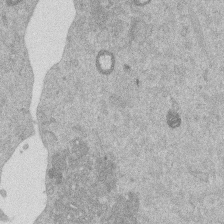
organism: Mouse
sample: Dividing mouse embryo 1 cell stage